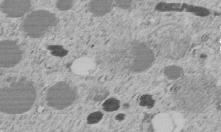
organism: C. elegans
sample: C. elegans embryo early stage